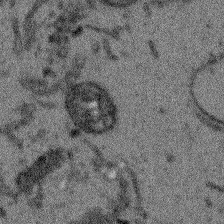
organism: Arabidopsis thaliana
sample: Root tip